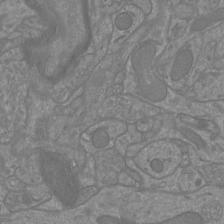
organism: Mouse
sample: Cortical neurons